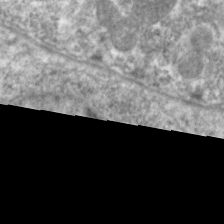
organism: C. elegans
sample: Pharynx